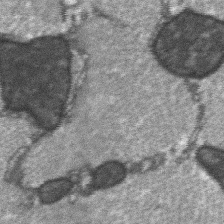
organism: C57BL Mouse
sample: Soleus